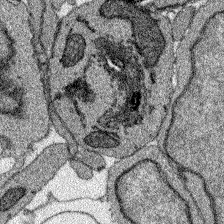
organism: Zebrafish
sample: Larval olfactory bulb